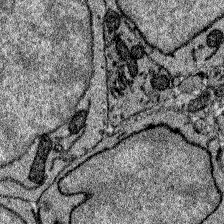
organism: Zebrafish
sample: Larval olfactory bulb